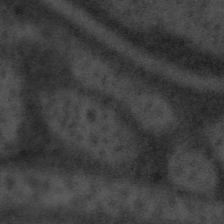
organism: Tuwongella immobilis